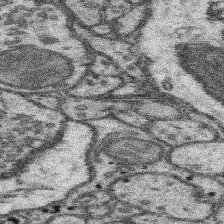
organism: Mouse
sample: Somatosensory cortex neuropil